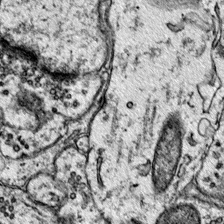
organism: Mouse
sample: Primary visual cortex